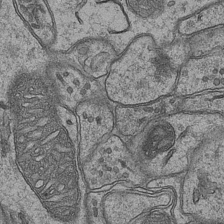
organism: Mouse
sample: CA1 Hippocampus